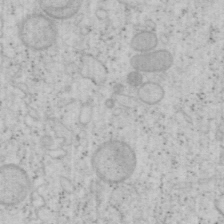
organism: Human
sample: HeLa cells